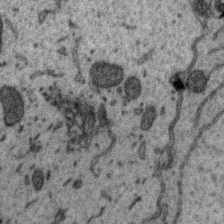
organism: Zebra finch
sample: Brain